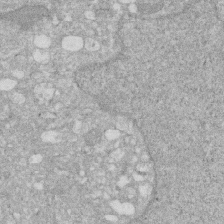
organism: Human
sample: HIV infected U937 cells